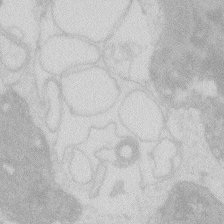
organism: Zebrafish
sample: Macrophage